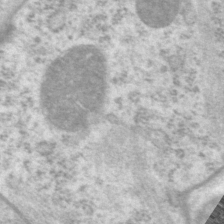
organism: P. pacificus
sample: Pharynx